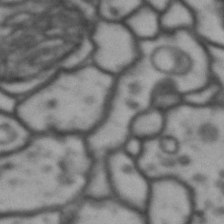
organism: Drosophila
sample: Brain